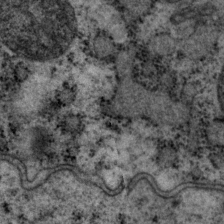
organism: P. pacificus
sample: Pharynx